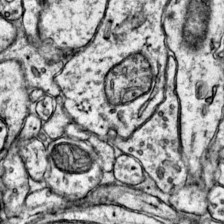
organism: Mouse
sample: Primary visual cortex